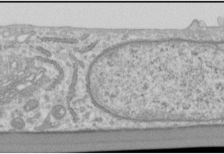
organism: Human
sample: Cilia; basal body in RPE cells